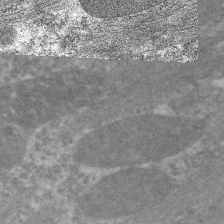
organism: C. elegans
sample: Pharynx